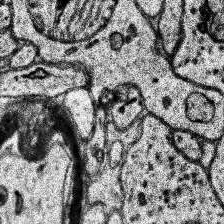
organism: Human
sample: Temporal Lobe